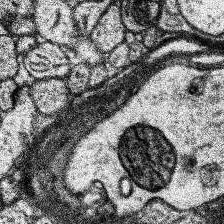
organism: Human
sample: Temporal Lobe